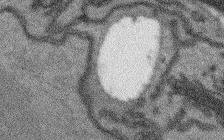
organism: Arabidopsis thaliana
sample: Root tip